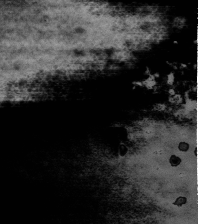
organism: Human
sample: U2-OS cells